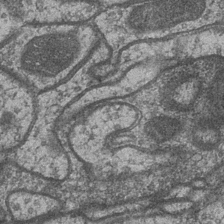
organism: Drosophila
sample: Optic medulla